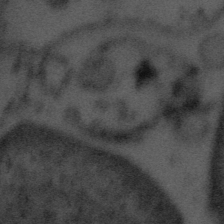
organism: Tuwongella immobilis